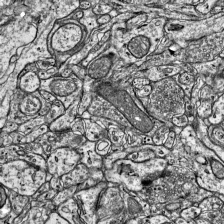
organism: Mouse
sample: Visual Cortex